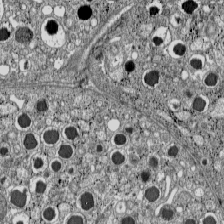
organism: C57BL Mouse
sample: Pancreatic islet